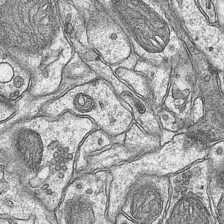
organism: Mouse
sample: CA1 Hippocampus